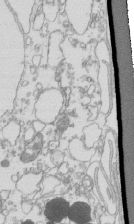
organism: Mouse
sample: Macrophages